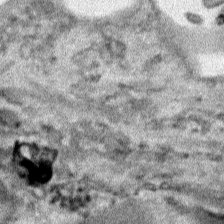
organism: Human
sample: Mitochondria in HCT116 cells